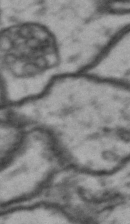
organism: Drosophila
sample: Brain